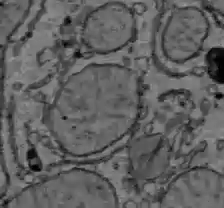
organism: C57BL Mouse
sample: Liver